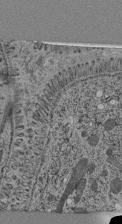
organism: C. elegans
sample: C. elegans pharynx